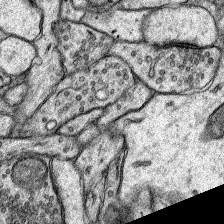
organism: Rat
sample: Hippocampus